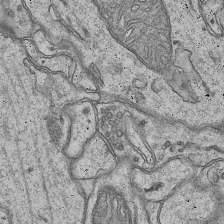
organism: Mouse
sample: CA1 Hippocampus